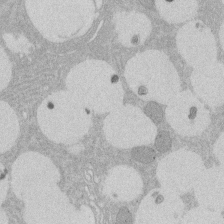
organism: Rat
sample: Salivary granule